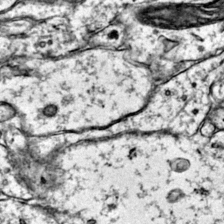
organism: Mouse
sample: Primary visual cortex